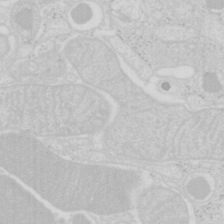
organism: Mouse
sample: Pancreas